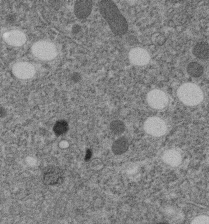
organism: C. elegans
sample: C. elegans embryo early stage